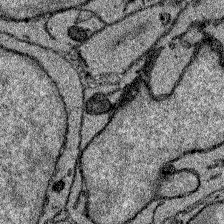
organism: Zebrafish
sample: Larval olfactory bulb